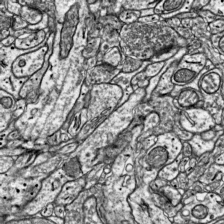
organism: Mouse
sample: Visual Cortex